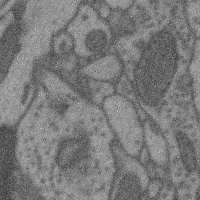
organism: Mouse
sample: Cerebral cortex